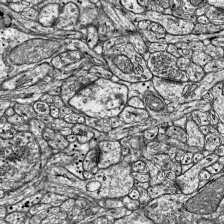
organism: Mouse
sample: Visual Cortex